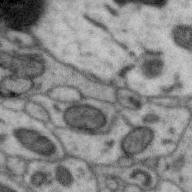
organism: Zebra finch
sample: Brain